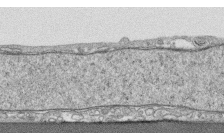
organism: Human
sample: CRL-1474